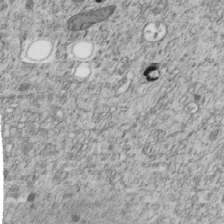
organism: C. elegans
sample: C. elegans embryo early stage